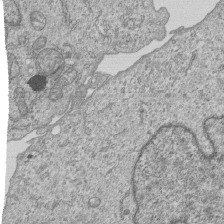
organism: Human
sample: MDA-MB-231 cells